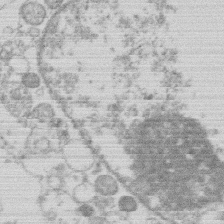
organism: Human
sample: Macrophage cells